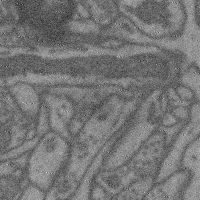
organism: Mouse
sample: Cerebral cortex